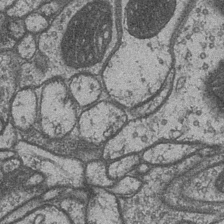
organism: Drosophila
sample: Optic medulla